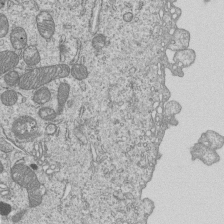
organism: Human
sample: MDA-MB-231 cells